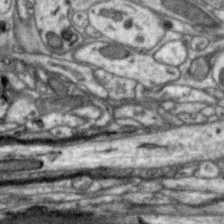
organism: Zebra finch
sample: Brain